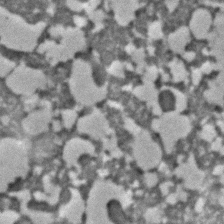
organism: C. elegans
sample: C. elegans embryo